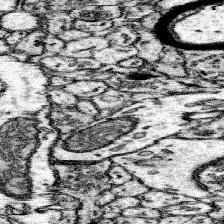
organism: Mouse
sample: Somatosensory cortex neuropil